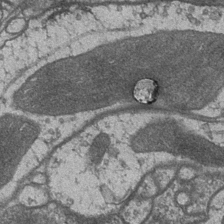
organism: Drosophila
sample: Optic medulla